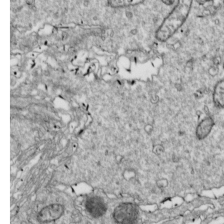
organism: Drosophila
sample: Cell division; meiosis; drosophila spermatocytes